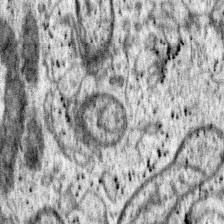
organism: Human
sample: HeLa cells